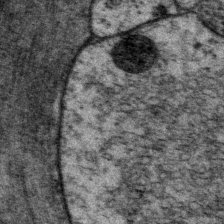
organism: P. pacificus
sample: Pharynx